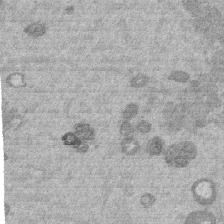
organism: Mouse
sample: Dividing mouse embryo 1 cell stage